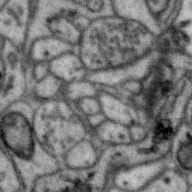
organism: Zebra finch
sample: Brain